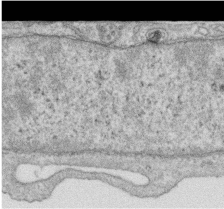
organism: Human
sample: Centriole in RPE cells